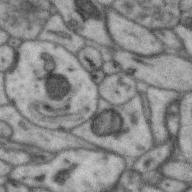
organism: Zebra finch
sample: Brain